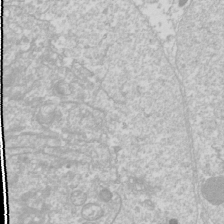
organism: Drosophila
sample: Cell division; meiosis; drosophila spermatocytes